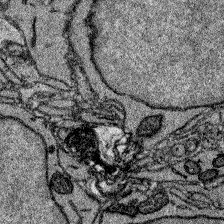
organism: Zebrafish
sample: Larval olfactory bulb